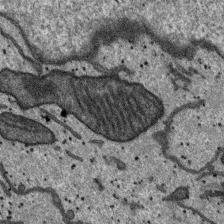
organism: Human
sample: Lung epithelial cells, uninfected (mock) control